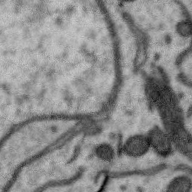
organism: Zebra finch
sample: Brain